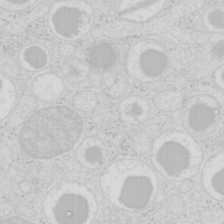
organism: Mouse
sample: Pancreas